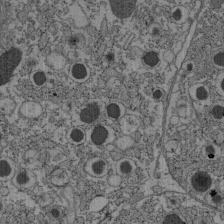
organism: C57BL Mouse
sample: Pancreatic islet